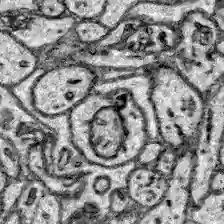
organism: Zebrafish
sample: Brain